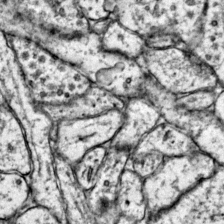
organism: Mouse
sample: Primary visual cortex